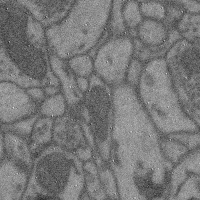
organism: Mouse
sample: Cerebral cortex